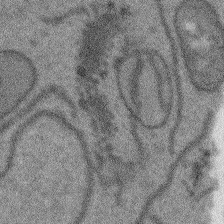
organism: Arabidopsis thaliana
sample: Root tip